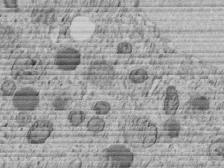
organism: C. elegans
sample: C. elegans embryo early stage